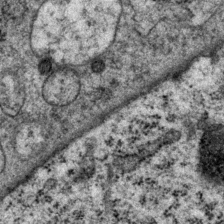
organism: P. pacificus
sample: Pharynx